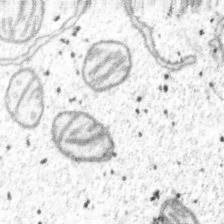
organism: Human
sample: HeLa cells